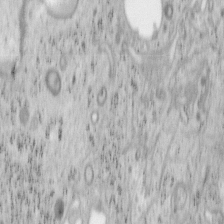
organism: Human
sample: HeLa cells